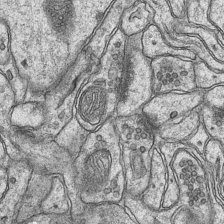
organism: Mouse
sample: CA1 Hippocampus